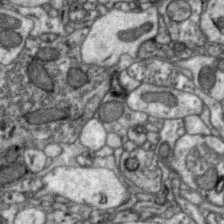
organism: Zebra finch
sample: Brain